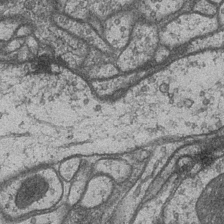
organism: Drosophila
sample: Optic medulla